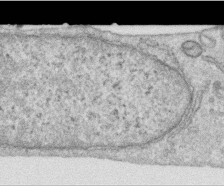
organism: Human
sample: Centriole in RPE cells